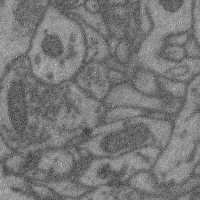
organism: Mouse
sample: Cerebral cortex